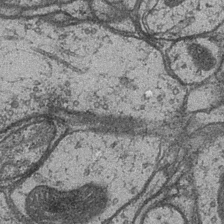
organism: Drosophila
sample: Optic medulla